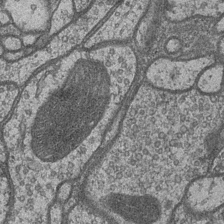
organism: Drosophila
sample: Optic medulla